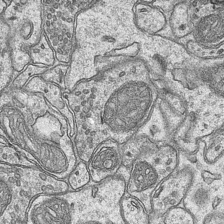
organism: Mouse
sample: CA1 Hippocampus